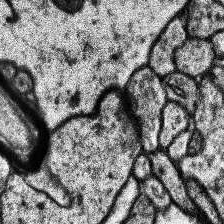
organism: Human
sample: Temporal Lobe